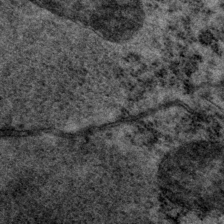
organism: P. pacificus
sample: Pharynx